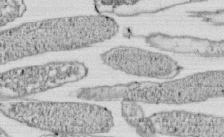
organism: E. coli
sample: Bacterial nucleoid